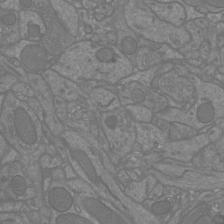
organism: Mouse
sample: Cortical neurons